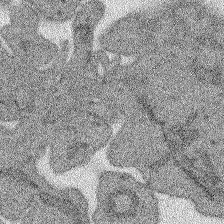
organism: Human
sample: HeLa cells